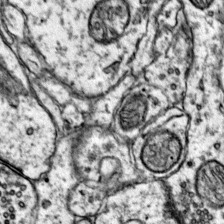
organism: Mouse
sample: Primary visual cortex